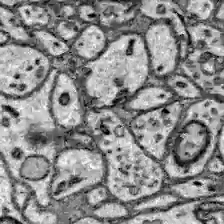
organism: Zebrafish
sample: Brain